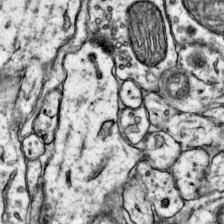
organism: Mouse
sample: Primary visual cortex